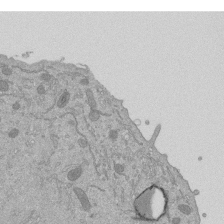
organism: Mouse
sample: ED-1 cell nuclei; centrioles